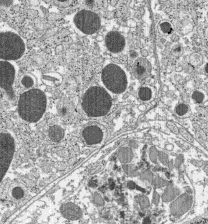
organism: C57BL Mouse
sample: Pancreatic islet